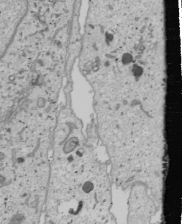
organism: Human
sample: Mitochondria in U2OS cells